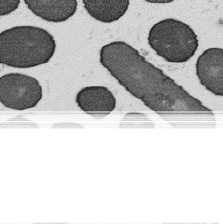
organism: B. subtilis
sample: Bacterial spore